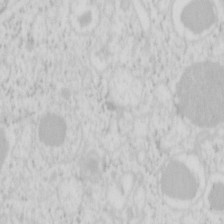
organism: Mouse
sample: Pancreas